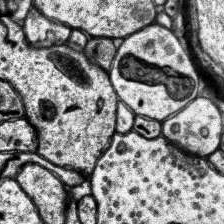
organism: Human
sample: Temporal Lobe